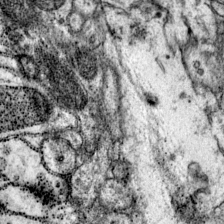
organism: Mouse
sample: Primary visual cortex